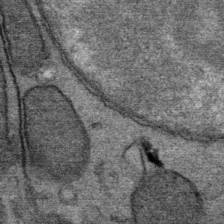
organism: Mouse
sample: Mouse Salivary gland